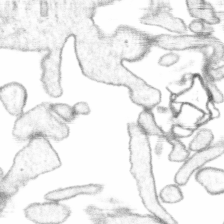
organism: Human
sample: HeLa cells